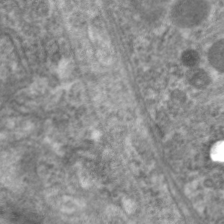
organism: C. elegans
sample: Pharynx